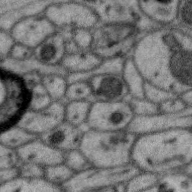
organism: Zebra finch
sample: Brain